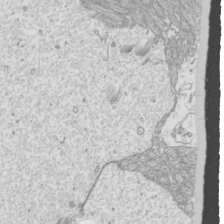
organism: Mouse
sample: Cilia; mouse epididymis